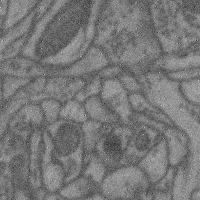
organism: Mouse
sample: Cerebral cortex